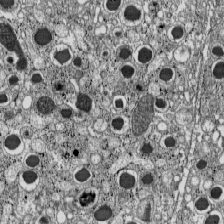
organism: C57BL Mouse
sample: Pancreatic islet